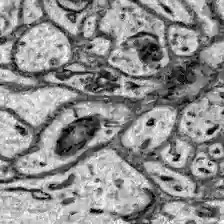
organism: Zebrafish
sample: Brain